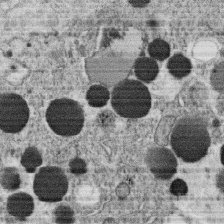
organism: C. elegans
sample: C. elegans oocyte; sperm cells